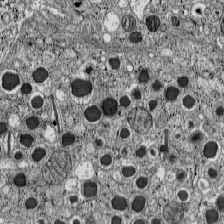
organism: C57BL Mouse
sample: Pancreatic islet